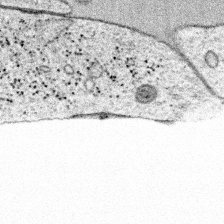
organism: Human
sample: HeLa cells